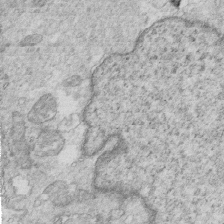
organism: Mouse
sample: Multiciliated cells